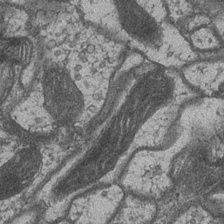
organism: Drosophila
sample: Optic medulla